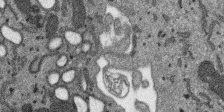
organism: Human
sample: Lung epithelial cells infected with SARS-CoV-2